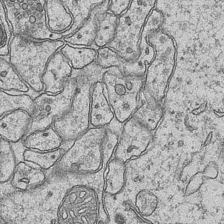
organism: Mouse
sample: CA1 Hippocampus